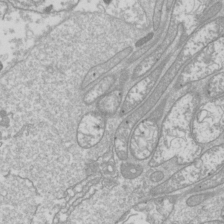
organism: Drosophila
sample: Cell division; meiosis; drosophila spermatocytes